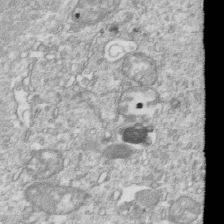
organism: Mouse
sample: Activated OT-1 CD8+ T cells